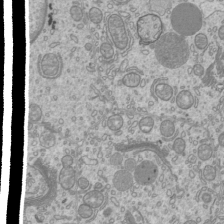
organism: Mouse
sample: Cilia; mouse epididymis